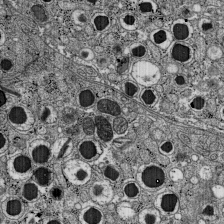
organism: C57BL Mouse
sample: Pancreatic islet